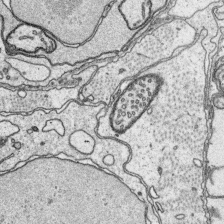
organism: Platynereis dumerilii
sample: Parapodia